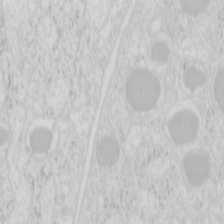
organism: Mouse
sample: Pancreas